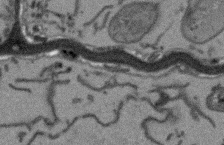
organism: Arabidopsis thaliana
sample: Root tip